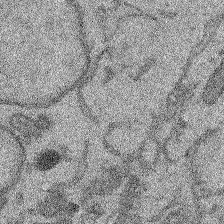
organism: Human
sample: HeLa cells